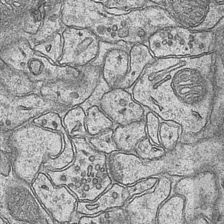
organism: Mouse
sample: CA1 Hippocampus